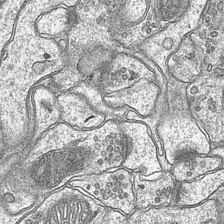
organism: Mouse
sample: CA1 Hippocampus